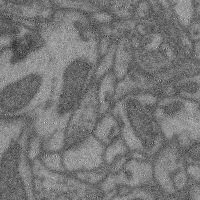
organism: Mouse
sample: Cerebral cortex